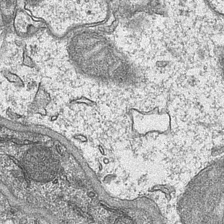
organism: Mouse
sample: CA1 Hippocampus